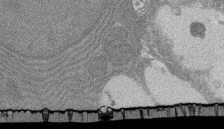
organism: Rat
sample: Salivary granule